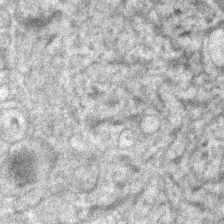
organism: Human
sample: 1205lu cells